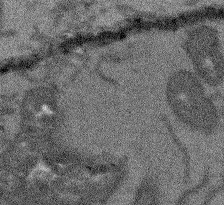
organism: Arabidopsis thaliana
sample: Root tip